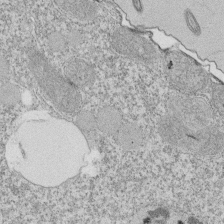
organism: Tetrahymena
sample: Cilia in tetrahymena